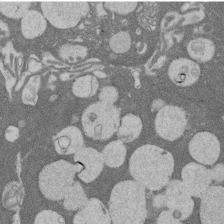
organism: Rat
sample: Salivary granule